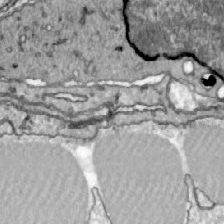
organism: Zebrafish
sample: Actinotrichia fibers